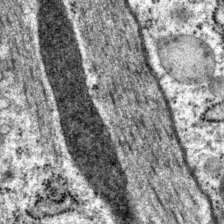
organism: P. pacificus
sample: Pharynx